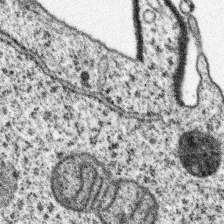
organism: Human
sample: HeLa cells